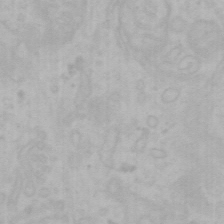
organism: Mouse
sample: Choroid plexus